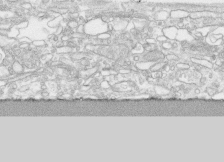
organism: Human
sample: CRL-1474